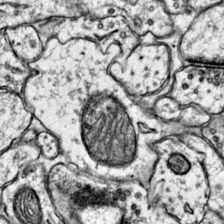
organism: Mouse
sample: Primary visual cortex